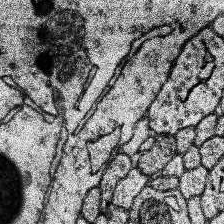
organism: Human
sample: Temporal Lobe